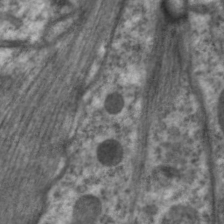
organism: C. elegans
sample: Pharynx